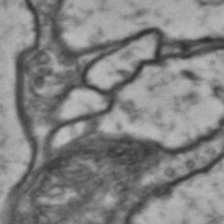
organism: Drosophila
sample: Brain